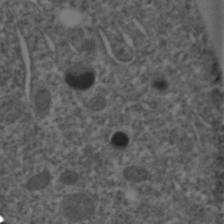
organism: C. elegans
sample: C. elegans embryo